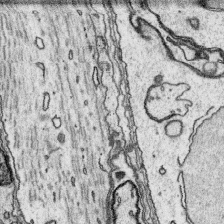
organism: Platynereis dumerilii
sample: Parapodia